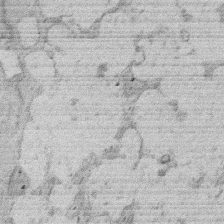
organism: Rat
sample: Salivary granule